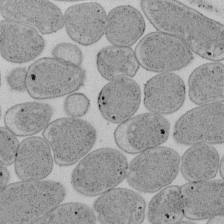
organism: E. coli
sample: Bacterial nucleoid